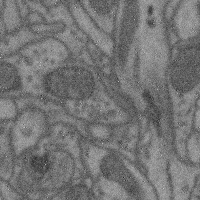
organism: Mouse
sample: Cerebral cortex